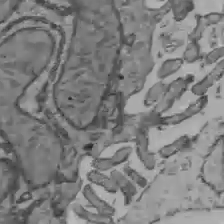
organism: C57BL Mouse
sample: Liver